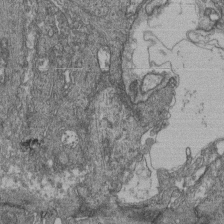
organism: Human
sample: Retinal organoid Rod and Cone cells